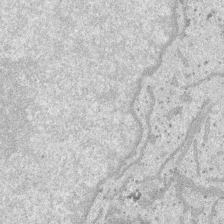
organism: Human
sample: Lung epithelial cells infected with SARS-CoV-2